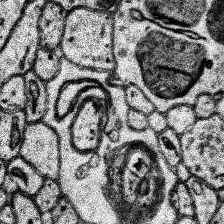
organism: Human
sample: Temporal Lobe